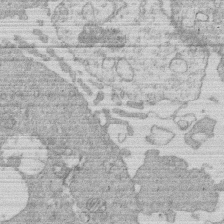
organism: Human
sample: Macrophage cells